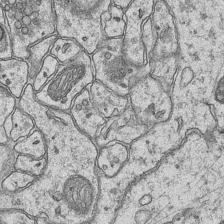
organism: Mouse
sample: CA1 Hippocampus